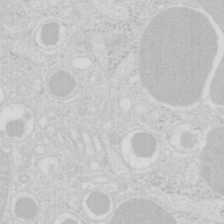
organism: Mouse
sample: Pancreas